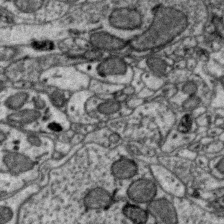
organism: Zebra finch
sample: Brain